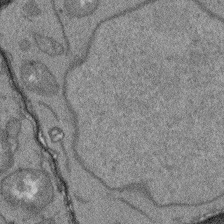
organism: Arabidopsis thaliana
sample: Root tip